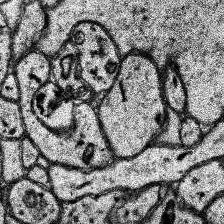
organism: Human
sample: Temporal Lobe